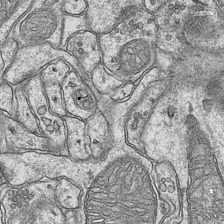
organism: Mouse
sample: CA1 Hippocampus